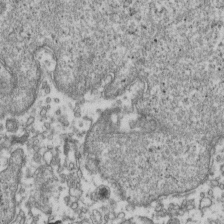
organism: Human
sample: Activated Jurkat CD4+ T cells